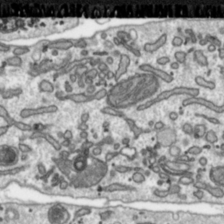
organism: Toxoplasma gondii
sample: Parasites in a vacuole inside a host cell